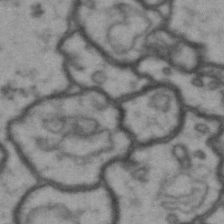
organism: Drosophila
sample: Brain